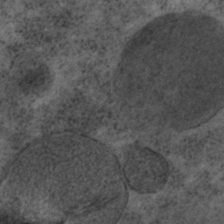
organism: C. elegans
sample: C. elegans embryo